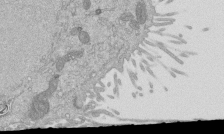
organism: Mouse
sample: ED-1 cell nuclei; centrioles